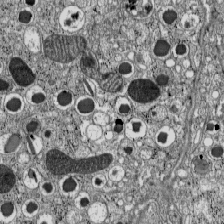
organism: C57BL Mouse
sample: Pancreatic islet